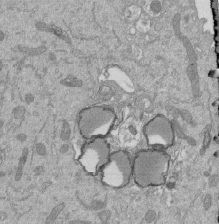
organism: Mouse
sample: ED-1 cell nuclei; centrioles